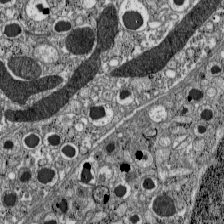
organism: C57BL Mouse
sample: Pancreatic islet